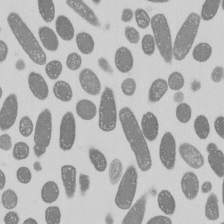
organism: E. coli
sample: Bacterial nucleoid